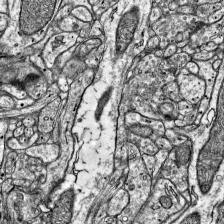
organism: Mouse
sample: Visual Cortex